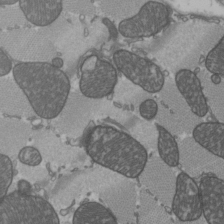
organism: C57BL Mouse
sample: Heart